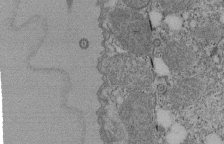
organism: Tetrahymena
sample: Cilia in tetrahymena